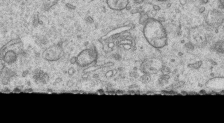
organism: Human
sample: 1205lu cells